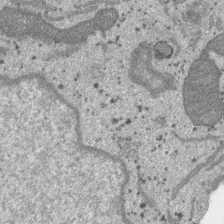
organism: Human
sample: Lung epithelial cells infected with SARS-CoV-2